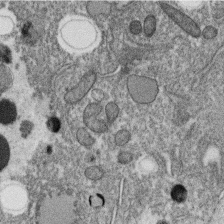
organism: C. elegans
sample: C. elegans oocyte; sperm cells